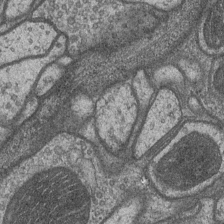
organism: Drosophila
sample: Optic medulla